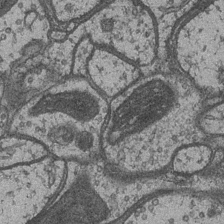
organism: Drosophila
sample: Optic medulla